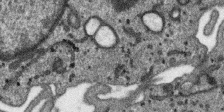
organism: Human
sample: Lung epithelial cells infected with SARS-CoV-2